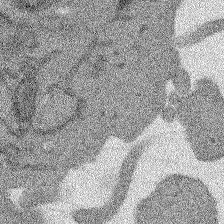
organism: Human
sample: HeLa cells